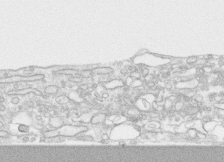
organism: Human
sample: CRL-1474